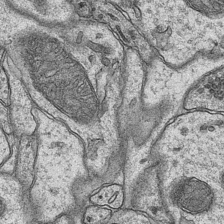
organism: Mouse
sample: CA1 Hippocampus